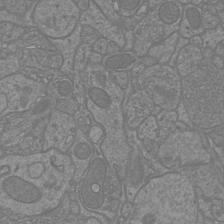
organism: Mouse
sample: Cortical neurons